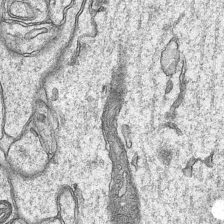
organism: Mouse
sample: CA1 Hippocampus